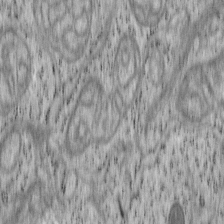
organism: Human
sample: HeLa cells